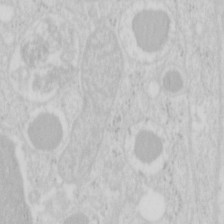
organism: Mouse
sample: Pancreas